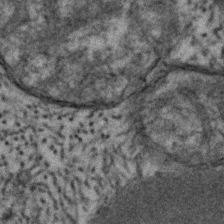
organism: Human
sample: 1205lu cells